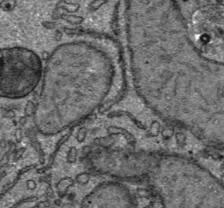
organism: C57BL Mouse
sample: Liver